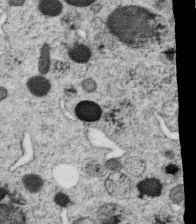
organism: C. elegans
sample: C. elegans oocyte; sperm cells